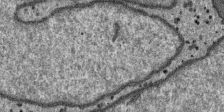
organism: Human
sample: Lung epithelial cells, uninfected (mock) control